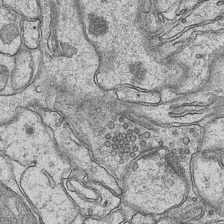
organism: Mouse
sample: CA1 Hippocampus